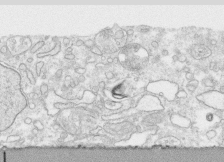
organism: Human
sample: CRL-1474